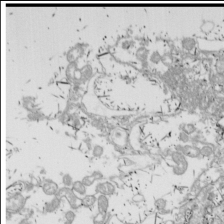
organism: Drosophila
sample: Cell division; meiosis; drosophila spermatocytes